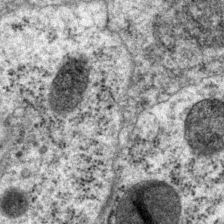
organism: P. pacificus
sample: Pharynx